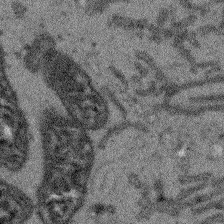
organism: Arabidopsis thaliana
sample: Root tip